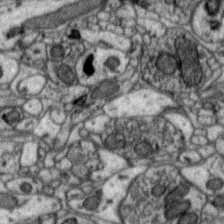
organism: Zebra finch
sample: Brain